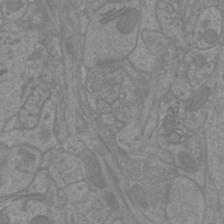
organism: Mouse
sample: Cortical neurons